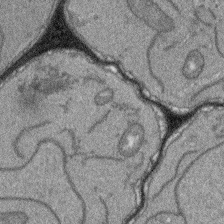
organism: Arabidopsis thaliana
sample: Root tip